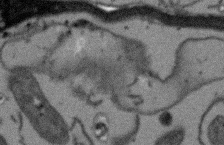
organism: Arabidopsis thaliana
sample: Root tip